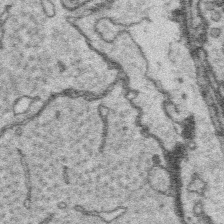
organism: Platynereis dumerilii